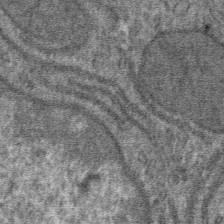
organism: Mouse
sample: Mouse hepatocytes